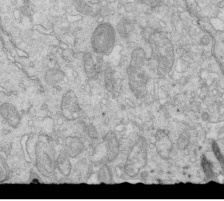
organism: Mouse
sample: Multiciliated cells